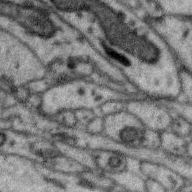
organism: Zebra finch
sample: Brain